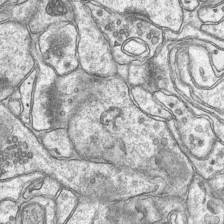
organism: Mouse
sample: CA1 Hippocampus